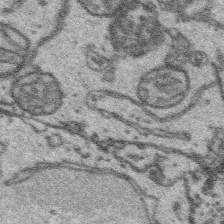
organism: Platynereis dumerilii